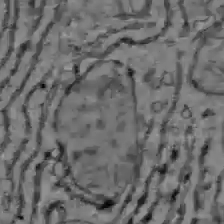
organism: C57BL Mouse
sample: Liver